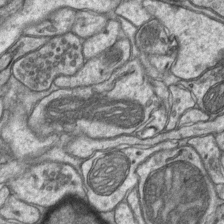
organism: Mouse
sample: CA1 Hippocampus